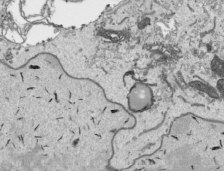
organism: Human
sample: Mitochondria in HCT116 cells